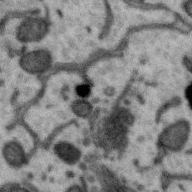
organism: Zebra finch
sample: Brain